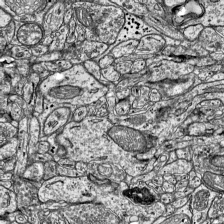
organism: Mouse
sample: Visual Cortex